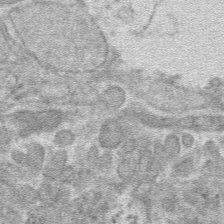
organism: Mouse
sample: Mouse hepatocytes